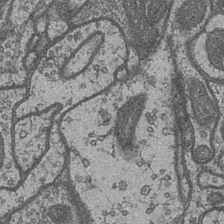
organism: Drosophila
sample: Optic medulla